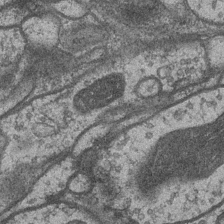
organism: Drosophila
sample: Optic medulla